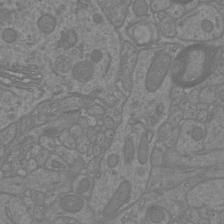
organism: Mouse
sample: Cortical neurons